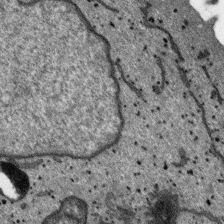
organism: Human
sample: Lung epithelial cells, uninfected (mock) control